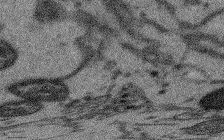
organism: Arabidopsis thaliana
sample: Root tip